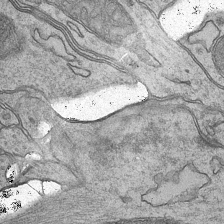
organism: Mouse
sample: CA1 Hippocampus